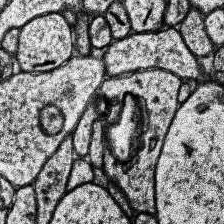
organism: Human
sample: Temporal Lobe